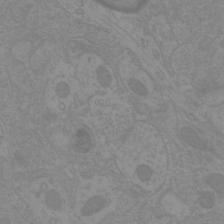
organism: Mouse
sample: Cortical neurons